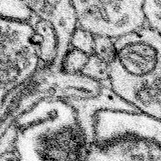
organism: Mouse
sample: Somatosensory cortex neuropil